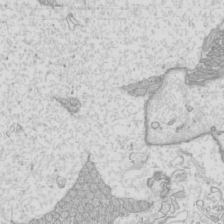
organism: Mouse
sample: Cilia; mouse epididymis